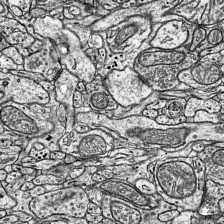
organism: Mouse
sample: Visual Cortex